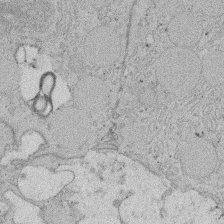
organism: Rat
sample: Salivary granule